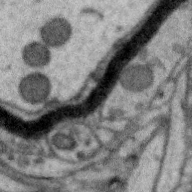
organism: Zebra finch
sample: Brain